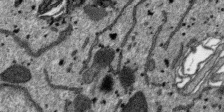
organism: Human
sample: Lung epithelial cells, uninfected (mock) control